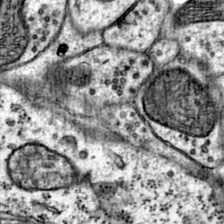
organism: Mouse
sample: Primary visual cortex